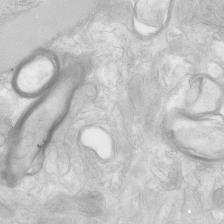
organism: Human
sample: Neocortex